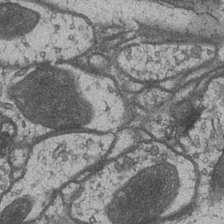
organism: Drosophila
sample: Optic medulla